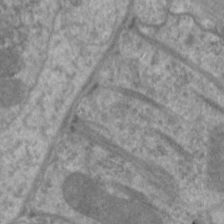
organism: C. elegans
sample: Pharynx